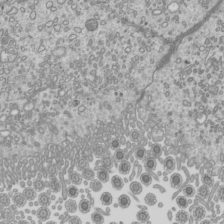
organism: Mouse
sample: Cilia; mouse epididymis